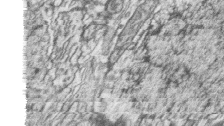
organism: Zebrafish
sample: synaptic ribbons in rod cells and cone cells